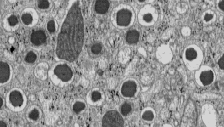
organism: C57BL Mouse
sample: Pancreatic islet